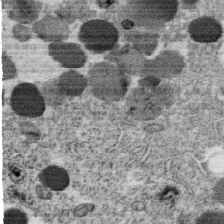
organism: C. elegans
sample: C. elegans oocyte; sperm cells